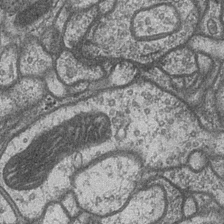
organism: Drosophila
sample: Optic medulla